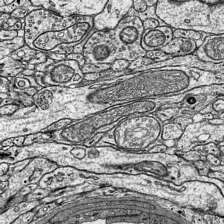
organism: Mouse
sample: Visual Cortex